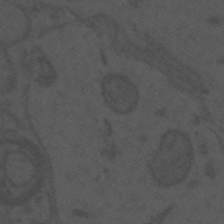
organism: Mouse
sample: Suprachiasmatic nucleus